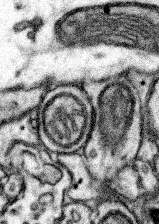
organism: Mouse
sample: Somatosensory cortex neuropil